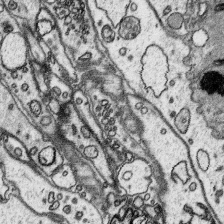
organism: Platynereis dumerilii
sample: Parapodia